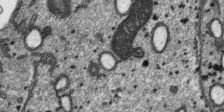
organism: Human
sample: Lung epithelial cells infected with SARS-CoV-2